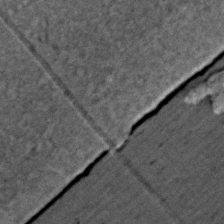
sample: Trachea